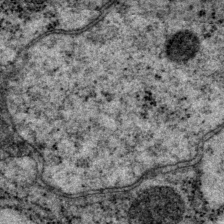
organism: P. pacificus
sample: Pharynx